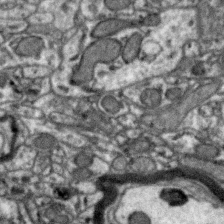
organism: Zebra finch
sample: Brain